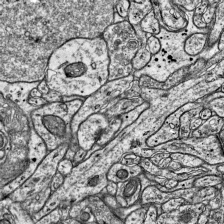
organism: Mouse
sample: Visual Cortex